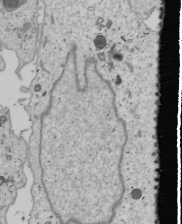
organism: Human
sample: Mitochondria in U2OS cells